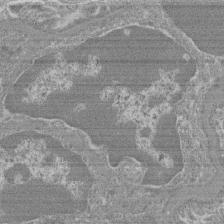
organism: Mouse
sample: Glomerulus